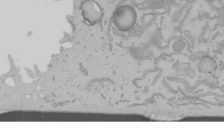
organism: Mouse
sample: Cancer cell death in ED-1 cells